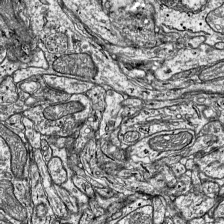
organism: Mouse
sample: Visual Cortex